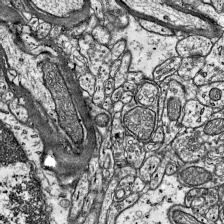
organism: Mouse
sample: Visual Cortex